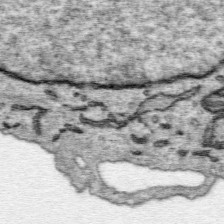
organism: Human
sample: HeLa cells